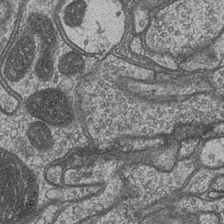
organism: Drosophila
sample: Optic medulla